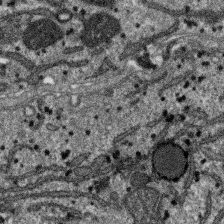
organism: Human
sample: Lung epithelial cells infected with SARS-CoV-2